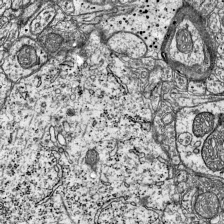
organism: Mouse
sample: Visual Cortex